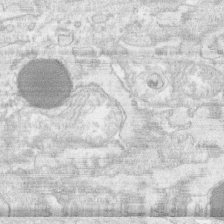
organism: Human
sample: CRL-1474